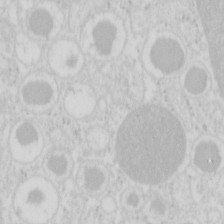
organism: Mouse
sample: Pancreas